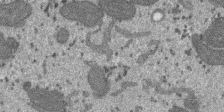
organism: Human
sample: Lung epithelial cells infected with SARS-CoV-2